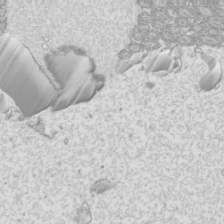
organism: Mouse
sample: Cilia; mouse epididymis